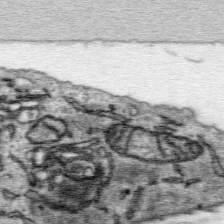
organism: Human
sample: HeLa cells